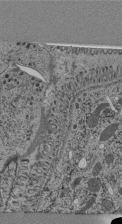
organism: C. elegans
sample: C. elegans pharynx